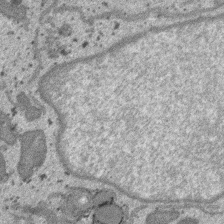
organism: Human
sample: Lung epithelial cells infected with SARS-CoV-2